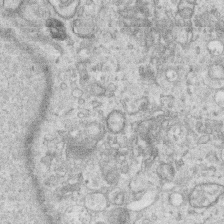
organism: Human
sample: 1205lu cells